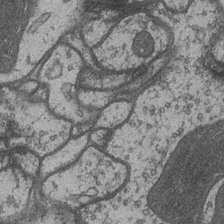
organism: Drosophila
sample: Optic medulla